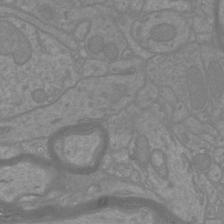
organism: Mouse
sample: Cortical neurons